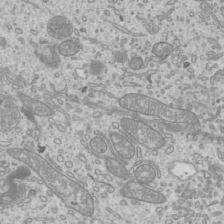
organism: Mouse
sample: Cilia; mouse epididymis